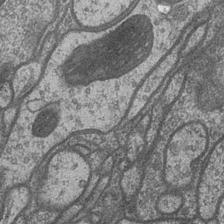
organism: Drosophila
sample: Optic medulla